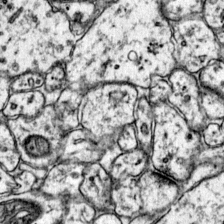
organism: Mouse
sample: Primary visual cortex